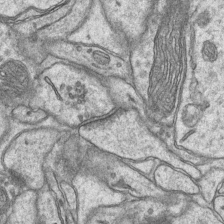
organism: Mouse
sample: CA1 Hippocampus